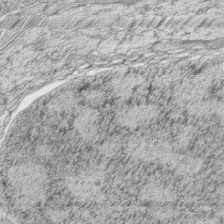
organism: Zebrafish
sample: synaptic ribbons in rod cells and cone cells